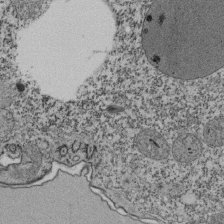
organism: Tetrahymena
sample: Cilia in tetrahymena